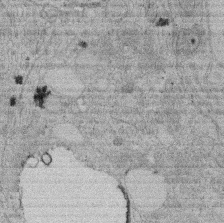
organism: Rat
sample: Salivary granule